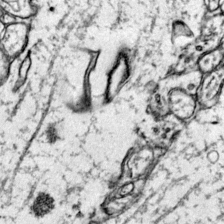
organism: Mouse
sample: Primary visual cortex